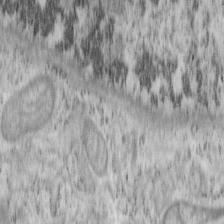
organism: Human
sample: HeLa cells